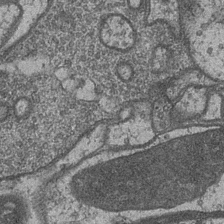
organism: Drosophila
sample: Optic medulla